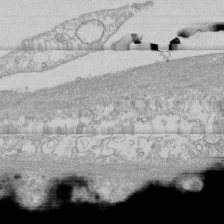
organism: Human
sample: CRL-1474